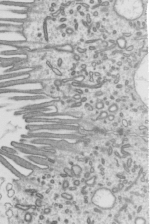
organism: Mouse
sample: Mouse epididymis efferent ductule cilia